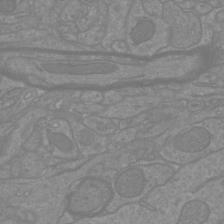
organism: Mouse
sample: Cortical neurons